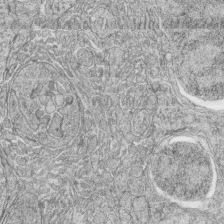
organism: Zebrafish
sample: synaptic ribbons in rod cells and cone cells